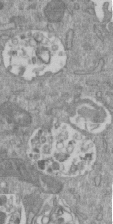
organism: Mouse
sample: ED-1 cell nuclei; centrioles